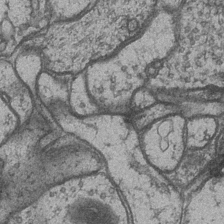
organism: Drosophila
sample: Optic medulla